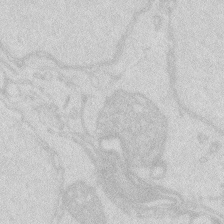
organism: Zebrafish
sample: Macrophage